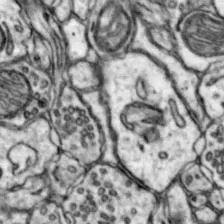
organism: Mouse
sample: Nucleus accumbens